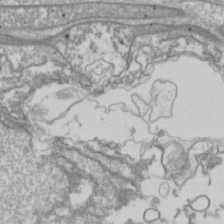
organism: Drosophila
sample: Cell division; meiosis; drosophila spermatocytes